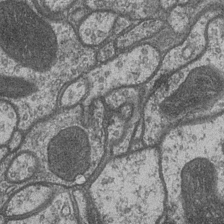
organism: Drosophila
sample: Optic medulla